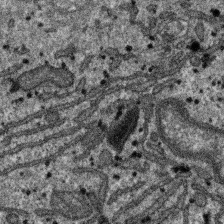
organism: Human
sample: Lung epithelial cells infected with SARS-CoV-2